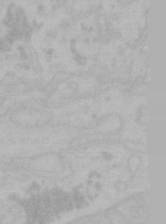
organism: Mouse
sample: Choroid plexus